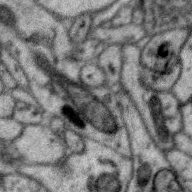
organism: Zebra finch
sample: Brain